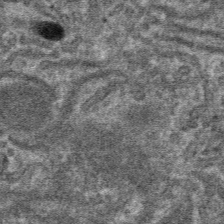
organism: Mouse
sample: Mouse hepatocytes